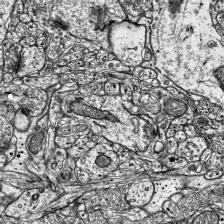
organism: Mouse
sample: Visual Cortex